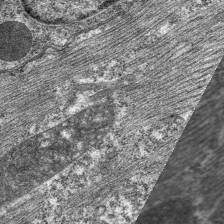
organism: C. elegans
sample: Pharynx